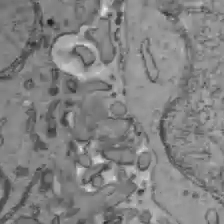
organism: C57BL Mouse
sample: Liver